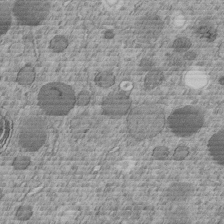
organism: C. elegans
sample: C. elegans embryo early stage